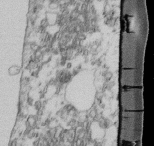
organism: Mouse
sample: Cilia; retinal pigment epithelium